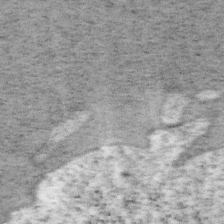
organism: Mouse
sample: OT-I killer T cells with ID8 ovarian cancer cells